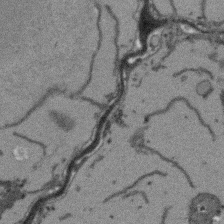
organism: Arabidopsis thaliana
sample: Root tip